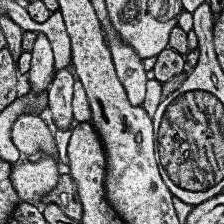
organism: Human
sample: Temporal Lobe